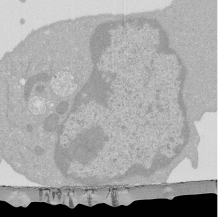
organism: Mouse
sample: Activated Pmel transgenic CD8+ T Cells